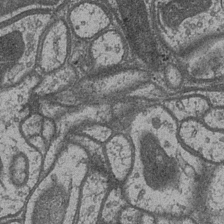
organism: Drosophila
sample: Optic medulla